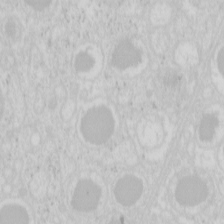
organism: Mouse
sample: Pancreas